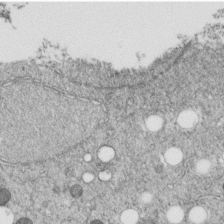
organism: C. elegans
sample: C. elegans embryo early stage